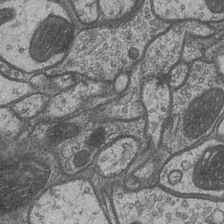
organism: Drosophila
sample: Optic medulla